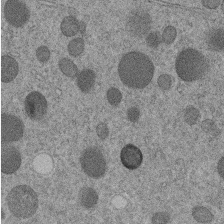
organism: C. elegans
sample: C. elegans embryo early stage